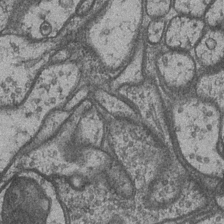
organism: Drosophila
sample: Optic medulla